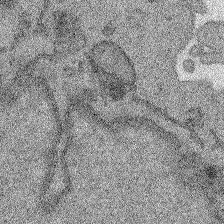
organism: Human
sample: HeLa cells